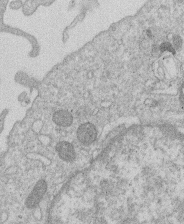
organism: Human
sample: Macrophage cells